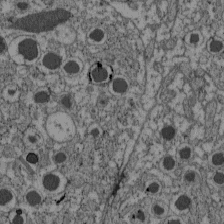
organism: C57BL Mouse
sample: Pancreatic islet